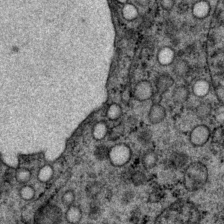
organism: P. pacificus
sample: Pharynx